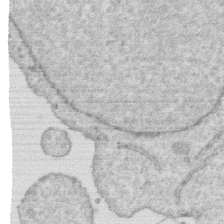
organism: Human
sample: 1205lu cells